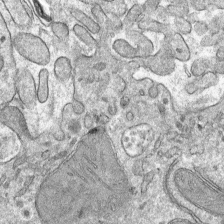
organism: Mouse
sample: Mouse hepatocytes